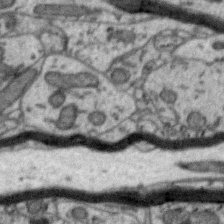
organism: Zebra finch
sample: Brain